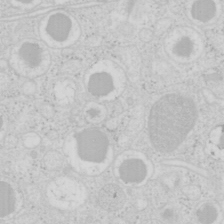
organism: Mouse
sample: Pancreas